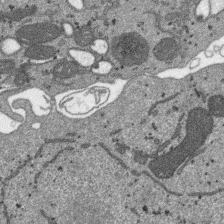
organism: Human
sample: Lung epithelial cells infected with SARS-CoV-2